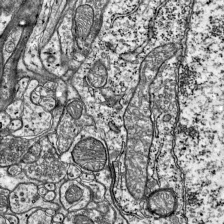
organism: Mouse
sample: Visual Cortex